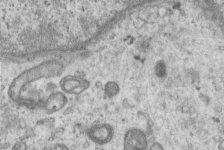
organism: Human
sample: Centriole in RPE cells